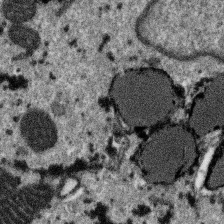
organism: Human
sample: Lung epithelial cells infected with SARS-CoV-2